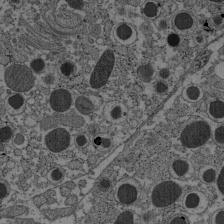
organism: C57BL Mouse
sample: Pancreatic islet